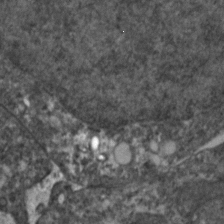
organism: Zebrafish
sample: Zebrafish embryo